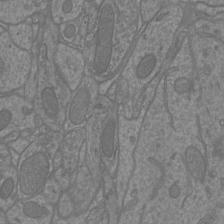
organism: Mouse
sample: Cortical neurons